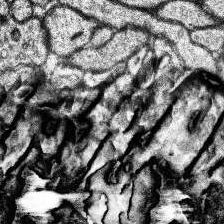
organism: Human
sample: Temporal Lobe